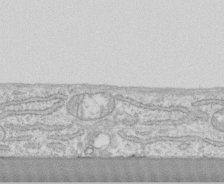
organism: Human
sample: CRL-1474